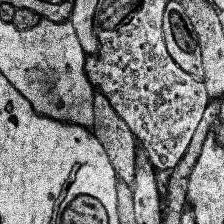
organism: Human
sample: Temporal Lobe